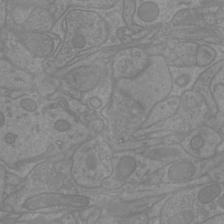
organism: Mouse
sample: Cortical neurons